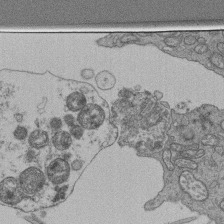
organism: Human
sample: Retinal organoid Rod and Cone cells